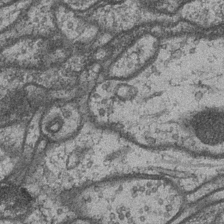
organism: Drosophila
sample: Optic medulla